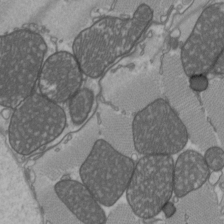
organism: C57BL Mouse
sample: Heart